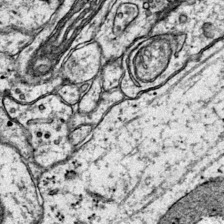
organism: Mouse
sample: Primary visual cortex